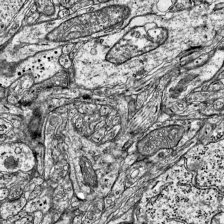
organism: Mouse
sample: Visual Cortex